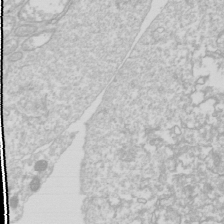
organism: Drosophila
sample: Cell division; meiosis; drosophila spermatocytes